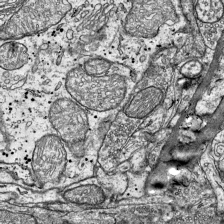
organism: Mouse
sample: Visual Cortex